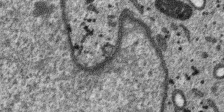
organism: Human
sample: Lung epithelial cells infected with SARS-CoV-2